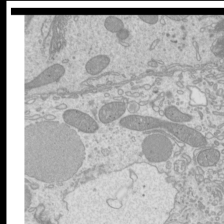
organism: Mouse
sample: Cilia; mouse epididymis